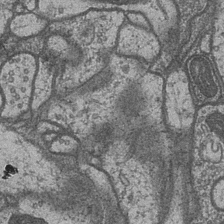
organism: Drosophila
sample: Optic medulla